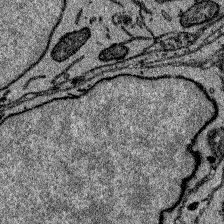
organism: Zebrafish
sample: Larval olfactory bulb